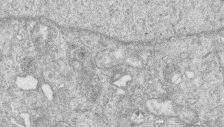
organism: Human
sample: HeLa cell HIV synapse